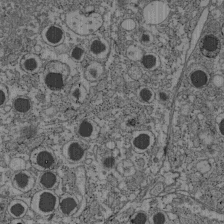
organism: C57BL Mouse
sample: Pancreatic islet